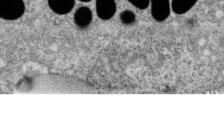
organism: Zebrafish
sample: Cilia; retinal pigment epithelium